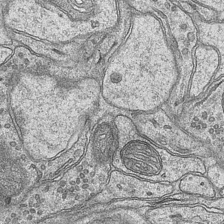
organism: Mouse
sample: CA1 Hippocampus